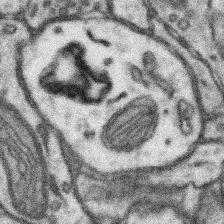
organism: Mouse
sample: Somatosensory cortex neuropil